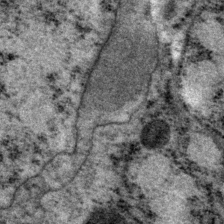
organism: P. pacificus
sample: Pharynx